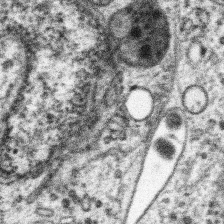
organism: Human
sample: HeLa cells